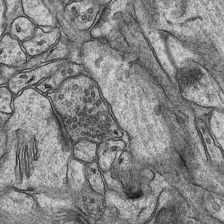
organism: Mouse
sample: CA1 Hippocampus